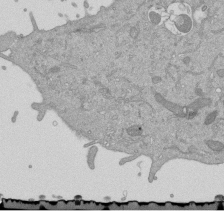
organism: Mouse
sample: ED-1 cell nuclei; centrioles